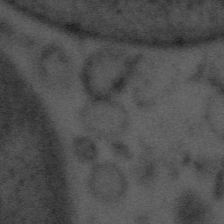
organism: Tuwongella immobilis